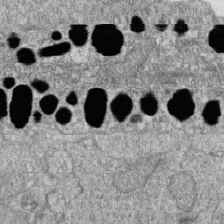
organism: Zebrafish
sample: Cilia; retinal pigment epithelium